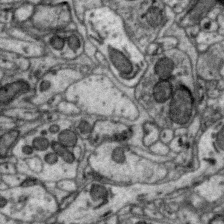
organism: Zebra finch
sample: Brain